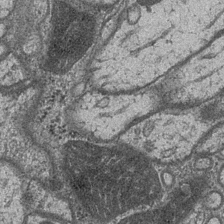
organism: Drosophila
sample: Optic medulla